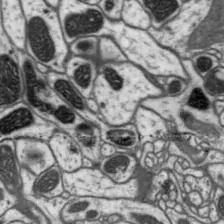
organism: Drosophila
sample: Protocerebral bridge